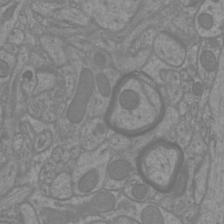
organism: Mouse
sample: Cortical neurons